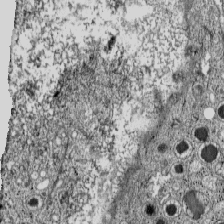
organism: C57BL Mouse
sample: Pancreatic islet